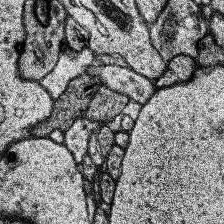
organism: Human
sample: Temporal Lobe